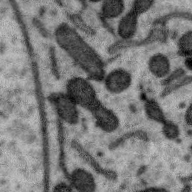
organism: Zebra finch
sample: Brain